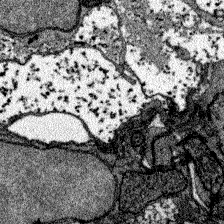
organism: Zebrafish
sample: Larval olfactory bulb